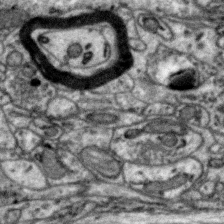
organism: Zebra finch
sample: Brain